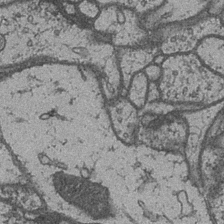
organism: Drosophila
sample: Optic medulla